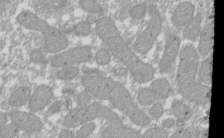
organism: Xenopus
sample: Cilia; centrioles in frog embryo cells